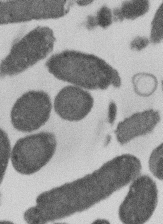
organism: E. coli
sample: Bacterial nucleoid